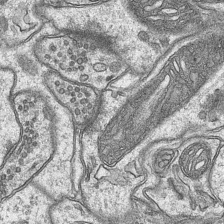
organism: Mouse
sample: CA1 Hippocampus